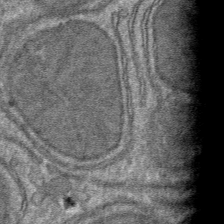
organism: Mouse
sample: Mouse hepatocytes